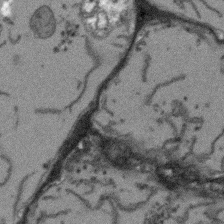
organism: Arabidopsis thaliana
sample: Root tip